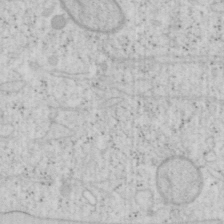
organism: Human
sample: HeLa cells